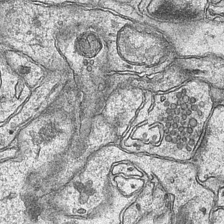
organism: Mouse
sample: CA1 Hippocampus